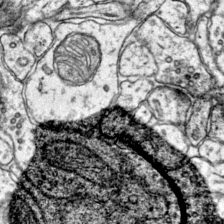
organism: Mouse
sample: Primary visual cortex